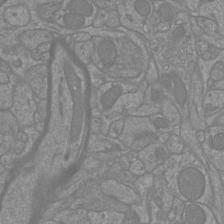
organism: Mouse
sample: Cortical neurons